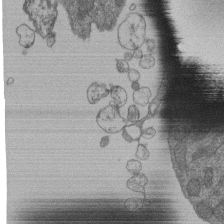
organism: Human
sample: Retinal organoid Rod and Cone cells